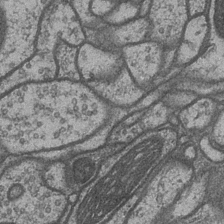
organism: Drosophila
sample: Optic medulla